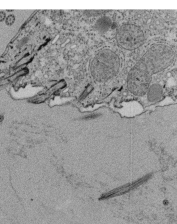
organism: Tetrahymena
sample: Cilia in tetrahymena